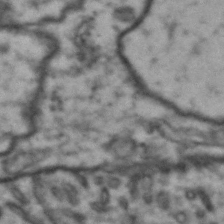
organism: Drosophila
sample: Brain